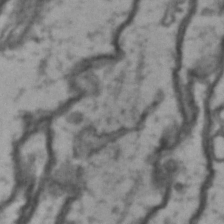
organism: Drosophila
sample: Brain